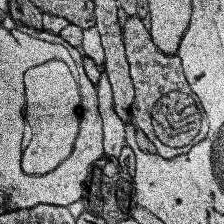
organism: Human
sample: Temporal Lobe